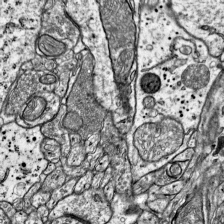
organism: Mouse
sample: Visual Cortex